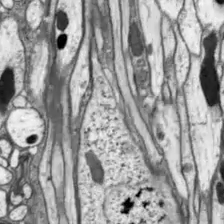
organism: Drosophila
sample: Optic lobe